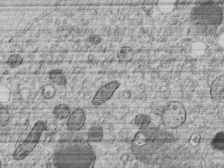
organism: C. elegans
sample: C. elegans embryo early stage